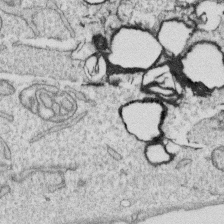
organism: Human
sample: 1205lu cells